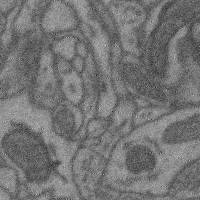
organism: Mouse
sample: Cerebral cortex